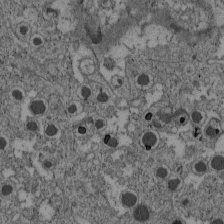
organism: C57BL Mouse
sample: Pancreatic islet